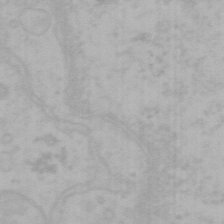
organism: Mouse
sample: Choroid plexus